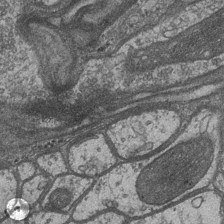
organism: Drosophila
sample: Optic medulla